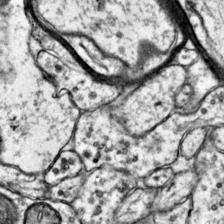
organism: Mouse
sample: Primary visual cortex